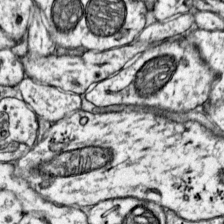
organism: Mouse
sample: Primary visual cortex